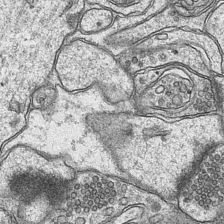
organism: Mouse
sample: CA1 Hippocampus